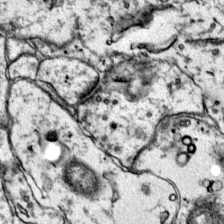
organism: Mouse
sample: Primary visual cortex